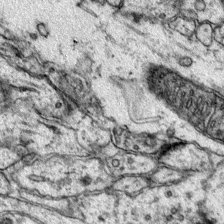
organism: Mouse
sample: Primary visual cortex